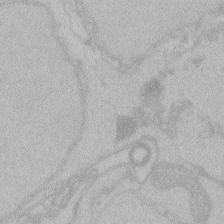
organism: Zebrafish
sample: Macrophage infected with Toxoplasma gondii